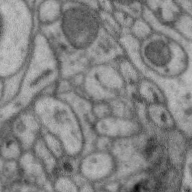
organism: Zebra finch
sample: Brain